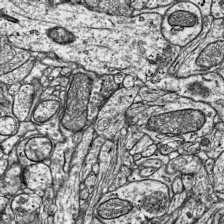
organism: Mouse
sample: Visual Cortex